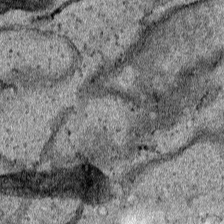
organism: Human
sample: Mitochondria in HCT116 cells